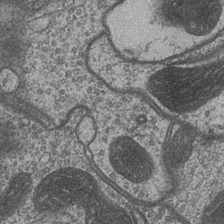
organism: Drosophila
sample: Optic medulla